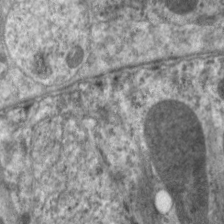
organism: C. elegans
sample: Pharynx